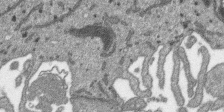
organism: Human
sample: Lung epithelial cells infected with SARS-CoV-2